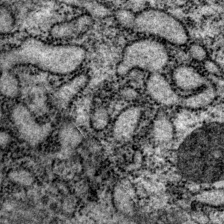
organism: P. pacificus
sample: Pharynx